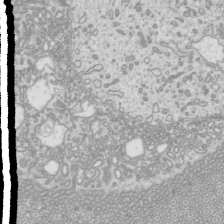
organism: Mouse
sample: Cilia; mouse epididymis